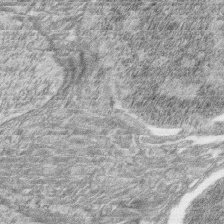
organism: Zebrafish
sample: synaptic ribbons in rod cells and cone cells